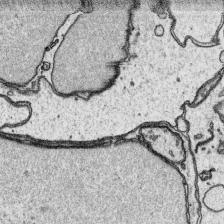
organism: Platynereis dumerilii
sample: Parapodia